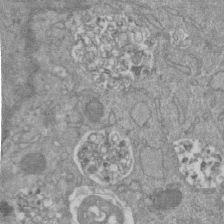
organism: Mouse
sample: ED-1 cell nuclei; centrioles